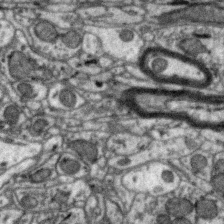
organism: Zebra finch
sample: Brain